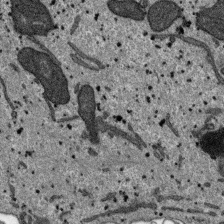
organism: Human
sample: Lung epithelial cells, uninfected (mock) control